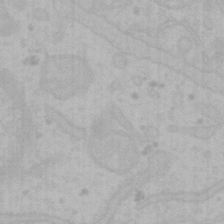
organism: Mouse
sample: Choroid plexus